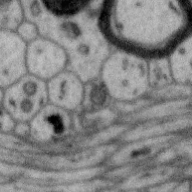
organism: Zebra finch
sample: Brain